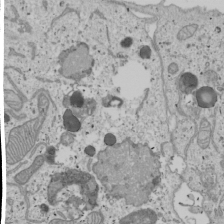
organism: Human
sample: Mitochondria in U2OS cells